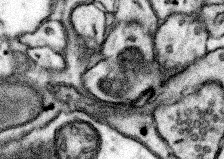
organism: Mouse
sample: Somatosensory cortex neuropil